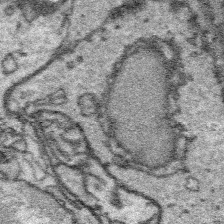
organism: Platynereis dumerilii